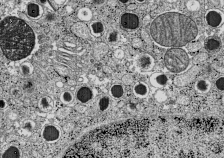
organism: C57BL Mouse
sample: Pancreatic islet